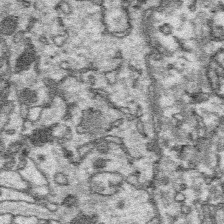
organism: Platynereis dumerilii